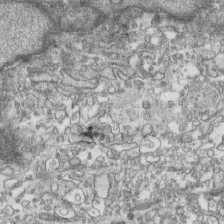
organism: Human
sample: CRL-1474